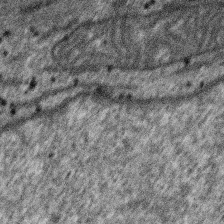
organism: Human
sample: Lung epithelial cells infected with SARS-CoV-2